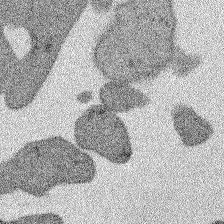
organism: Human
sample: HeLa cells